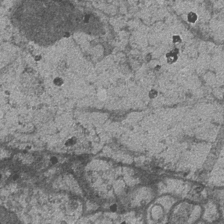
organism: Drosophila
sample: Optic medulla